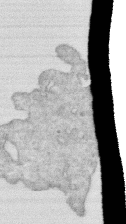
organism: Human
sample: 1205lu cells